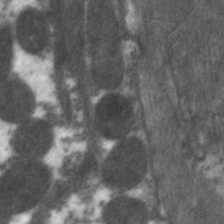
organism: C. elegans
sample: Pharynx